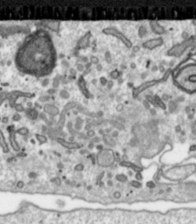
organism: Toxoplasma gondii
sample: Parasites in a vacuole inside a host cell